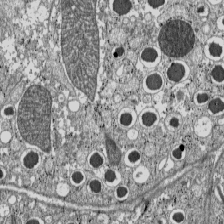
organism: C57BL Mouse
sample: Pancreatic islet